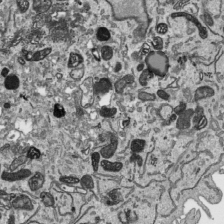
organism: Human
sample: Mitochondria in HCT116 cells